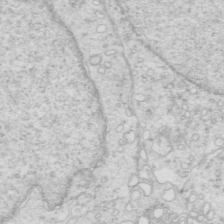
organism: Mouse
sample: Multiciliated cells